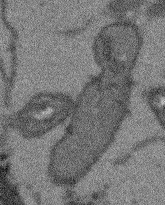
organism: Arabidopsis thaliana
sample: Root tip